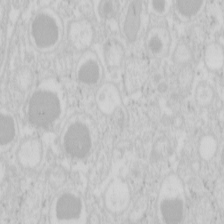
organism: Mouse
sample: Pancreas